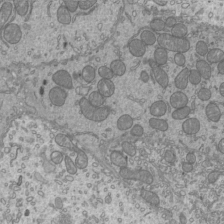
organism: Mouse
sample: Cilia; mouse epididymis